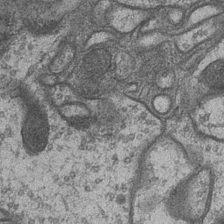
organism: Drosophila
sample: Optic medulla